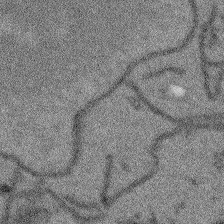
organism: Arabidopsis thaliana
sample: Root tip